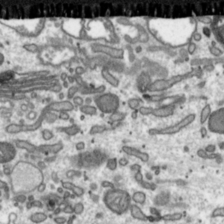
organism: Toxoplasma gondii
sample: Parasites in a vacuole inside a host cell